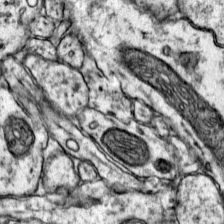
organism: Mouse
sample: Primary visual cortex